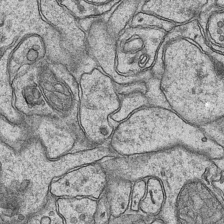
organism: Mouse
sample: CA1 Hippocampus